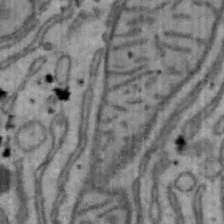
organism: Mouse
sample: Liver